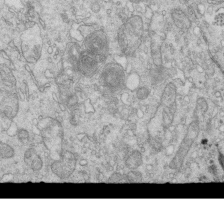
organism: Mouse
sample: Multiciliated cells